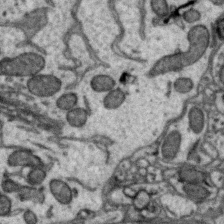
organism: Zebra finch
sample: Brain